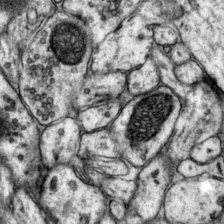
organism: Mouse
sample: Primary visual cortex